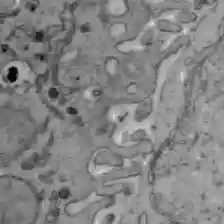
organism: C57BL Mouse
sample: Liver